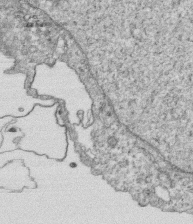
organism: Human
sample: HeLa cell HIV synapse